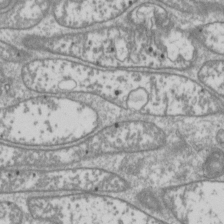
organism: Drosophila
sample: Cell division; meiosis; drosophila spermatocytes